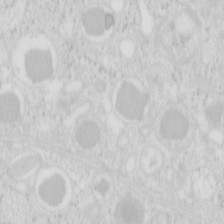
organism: Mouse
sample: Pancreas